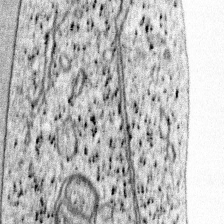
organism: Human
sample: HeLa cells